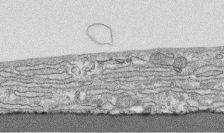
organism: Human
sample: CRL-1474